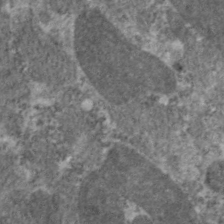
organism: C. elegans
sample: Pharynx